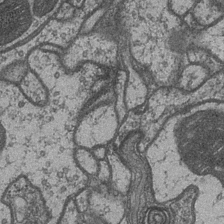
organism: Drosophila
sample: Optic medulla